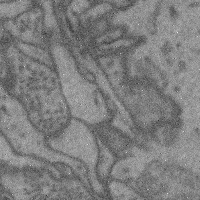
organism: Mouse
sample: Cerebral cortex